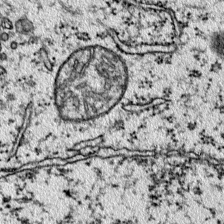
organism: Mouse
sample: Primary visual cortex